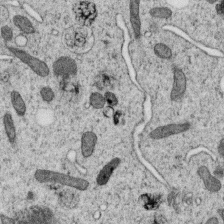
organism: C. elegans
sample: C. elegans oocyte; sperm cells